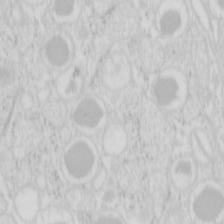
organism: Mouse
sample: Pancreas